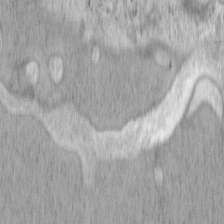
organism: Human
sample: HeLa cells